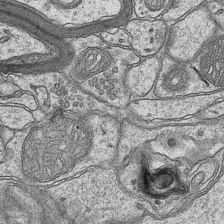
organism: Mouse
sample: CA1 Hippocampus